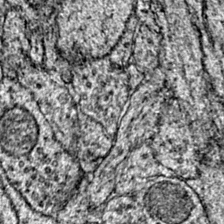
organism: Mouse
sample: Primary visual cortex